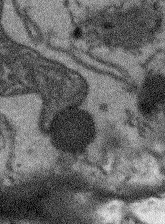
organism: Arabidopsis thaliana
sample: Root tip